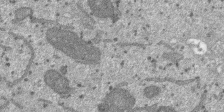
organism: Human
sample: Lung epithelial cells infected with SARS-CoV-2